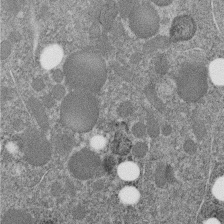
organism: C. elegans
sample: C. elegans embryo early stage